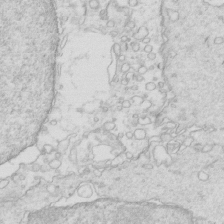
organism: Mouse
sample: Multiciliated cells